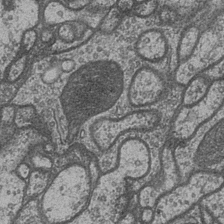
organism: Drosophila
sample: Optic medulla